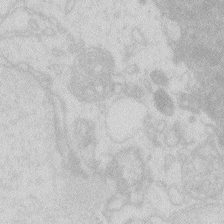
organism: Zebrafish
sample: Macrophage